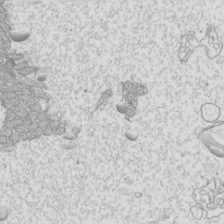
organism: Mouse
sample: Cilia; mouse epididymis